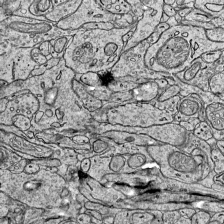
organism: Mouse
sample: Visual Cortex